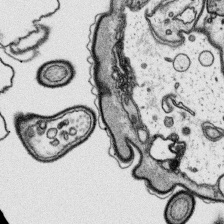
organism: Platynereis dumerilii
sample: Parapodia